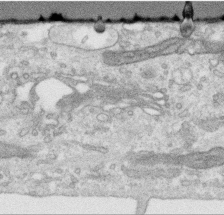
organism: Human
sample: Centriole in RPE cells